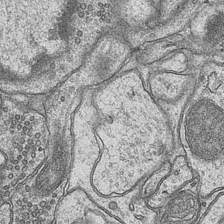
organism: Mouse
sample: CA1 Hippocampus